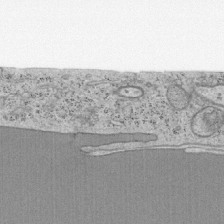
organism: Human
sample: HeLa cells